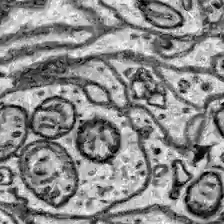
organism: Zebrafish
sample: Brain